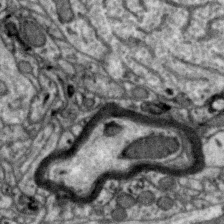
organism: Zebra finch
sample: Brain